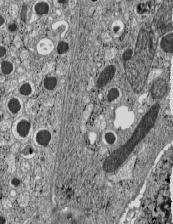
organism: C57BL Mouse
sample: Pancreatic islet